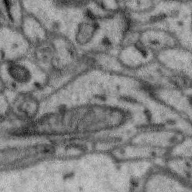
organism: Zebra finch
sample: Brain